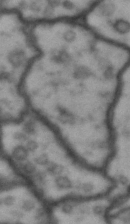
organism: Drosophila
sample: Brain